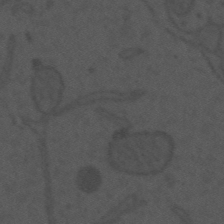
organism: Mouse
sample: Suprachiasmatic nucleus